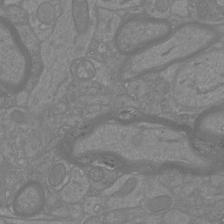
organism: Mouse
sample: Cortical neurons